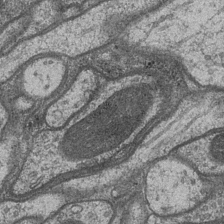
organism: Drosophila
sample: Optic medulla